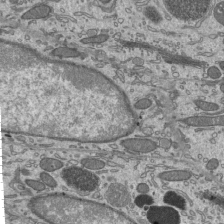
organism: Mouse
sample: Mouse epididymis efferent ductule cilia